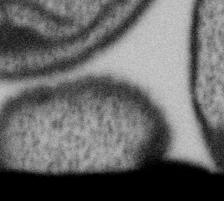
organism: Gemmata obscuriglobus